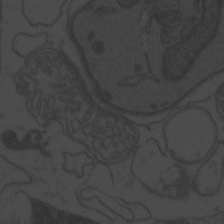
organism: Zebrafish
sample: Macrophage infected with Toxoplasma gondii